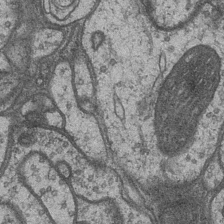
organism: Drosophila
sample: Optic medulla